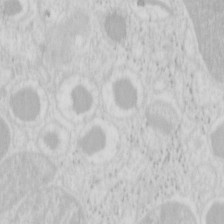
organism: Mouse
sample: Pancreas